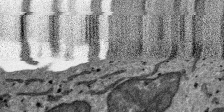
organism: Human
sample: Lung epithelial cells, uninfected (mock) control